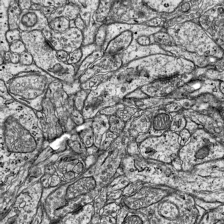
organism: Mouse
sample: Visual Cortex